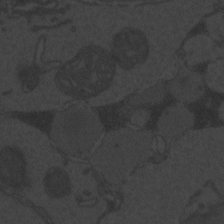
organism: Zebrafish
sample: Macrophage infected with Toxoplasma gondii